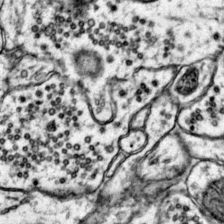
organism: Mouse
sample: Primary visual cortex